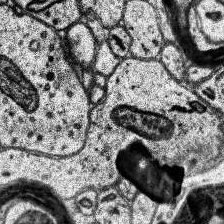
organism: Human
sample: Temporal Lobe